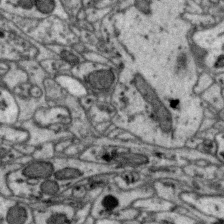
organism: Zebra finch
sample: Brain